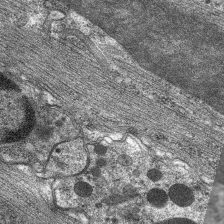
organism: C. elegans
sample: Pharynx